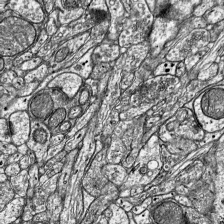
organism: Mouse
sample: Visual Cortex